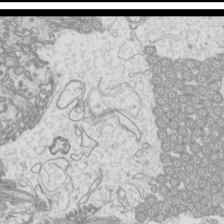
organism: Mouse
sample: Cilia; mouse epididymis